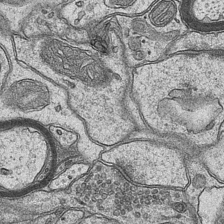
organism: Mouse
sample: CA1 Hippocampus